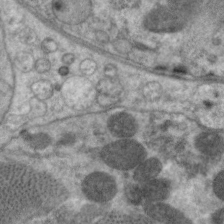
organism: C. elegans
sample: Pharynx